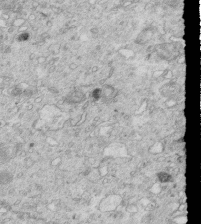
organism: Mouse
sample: Multiciliated cells